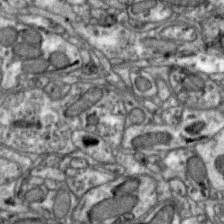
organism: Zebra finch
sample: Brain